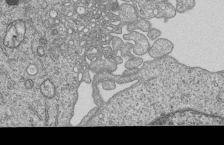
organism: Human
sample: MDA-MB-231 cells